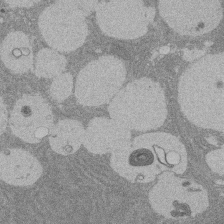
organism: Rat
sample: Salivary granule